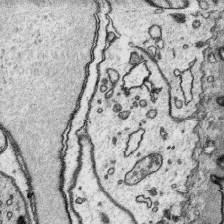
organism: Platynereis dumerilii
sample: Parapodia